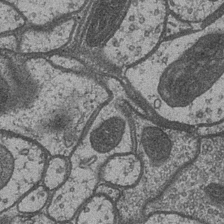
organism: Drosophila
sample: Optic medulla